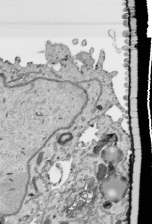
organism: Human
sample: Mitochondria in HCT116 cells